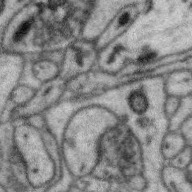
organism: Zebra finch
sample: Brain